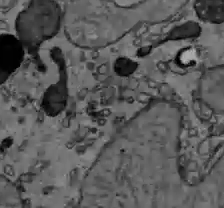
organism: C57BL Mouse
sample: Liver